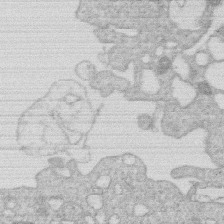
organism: Human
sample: Macrophage cells